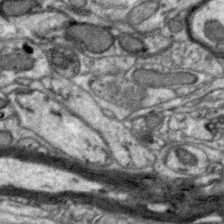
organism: Zebra finch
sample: Brain